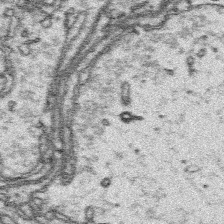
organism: Platynereis dumerilii